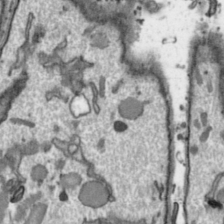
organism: Toxoplasma gondii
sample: Parasites in a vacuole inside a host cell